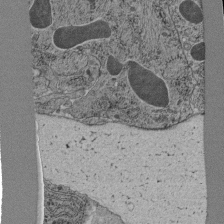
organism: C. elegans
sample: C. elegans pharynx